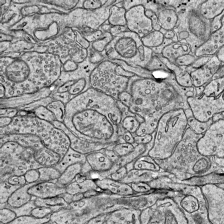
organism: Mouse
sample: Visual Cortex